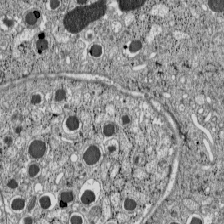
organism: C57BL Mouse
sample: Pancreatic islet